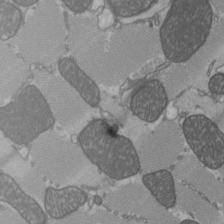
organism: C57BL Mouse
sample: Heart